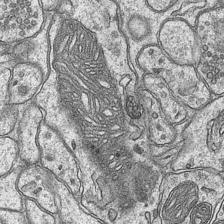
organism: Mouse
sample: CA1 Hippocampus